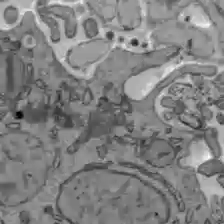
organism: C57BL Mouse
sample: Liver